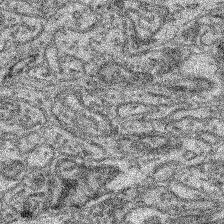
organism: Mouse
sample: Retina